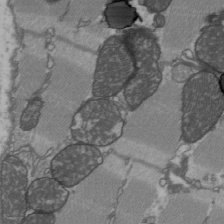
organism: C57BL Mouse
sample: Heart